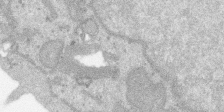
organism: Human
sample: Lung epithelial cells infected with SARS-CoV-2